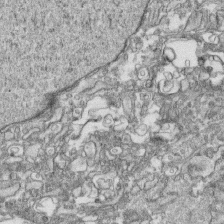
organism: Human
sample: CRL-1474